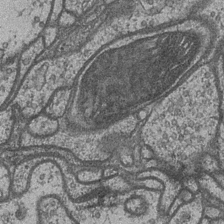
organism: Drosophila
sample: Optic medulla